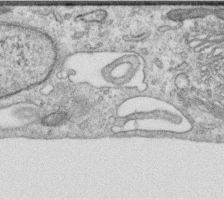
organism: Human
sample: Centriole in RPE cells